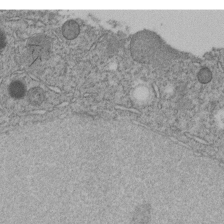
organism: C. elegans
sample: C. elegans embryo early stage